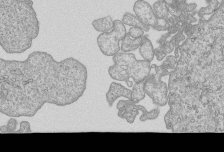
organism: Human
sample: MDA-MB-231 cells